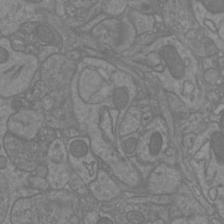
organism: Mouse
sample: Cortical neurons